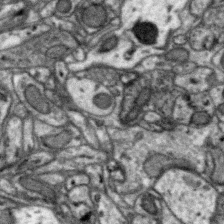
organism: Zebra finch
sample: Brain